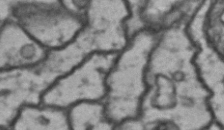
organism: Drosophila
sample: Brain